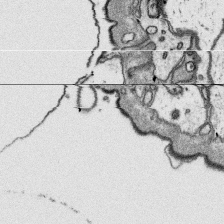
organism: Platynereis dumerilii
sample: Parapodia